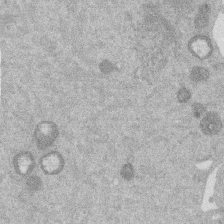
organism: Mouse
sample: Dividing mouse embryo 1 cell stage